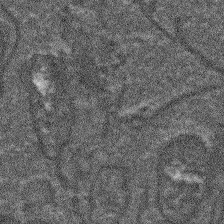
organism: Arabidopsis thaliana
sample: Root tip